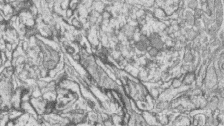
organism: Zebrafish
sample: synaptic ribbons in rod cells and cone cells